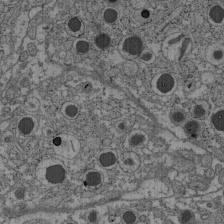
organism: C57BL Mouse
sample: Pancreatic islet